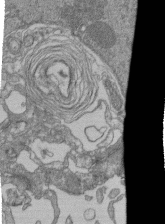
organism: Human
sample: Retinal organoid Rod and Cone cells